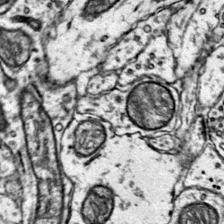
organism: Mouse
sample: Primary visual cortex